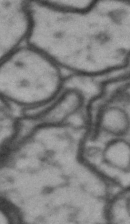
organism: Drosophila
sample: Brain